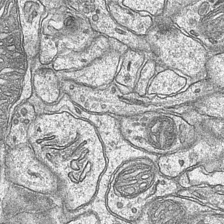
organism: Mouse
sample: CA1 Hippocampus